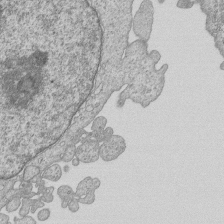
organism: Human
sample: MDA-MB-231 cells